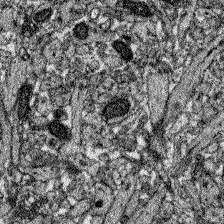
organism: Zebrafish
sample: Larval olfactory bulb